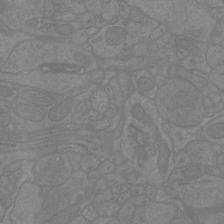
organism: Mouse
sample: Cortical neurons